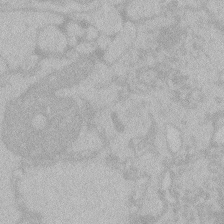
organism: Zebrafish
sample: Macrophage infected with Toxoplasma gondii